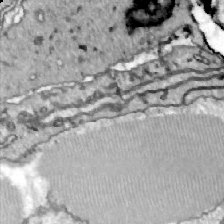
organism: Zebrafish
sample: Actinotrichia fibers